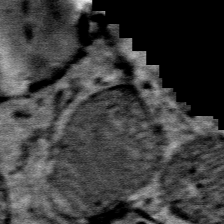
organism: Mouse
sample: Mouse Salivary gland